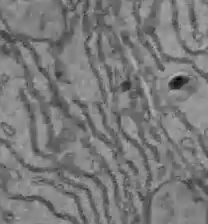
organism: C57BL Mouse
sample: Liver